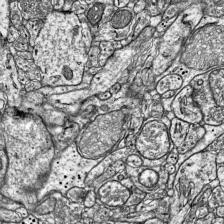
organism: Mouse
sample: Visual Cortex